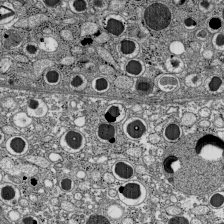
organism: C57BL Mouse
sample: Pancreatic islet